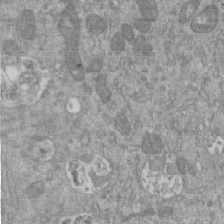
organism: Mouse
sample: ED-1 cell nuclei; centrioles